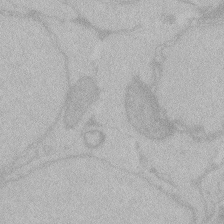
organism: Zebrafish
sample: Macrophage infected with Toxoplasma gondii